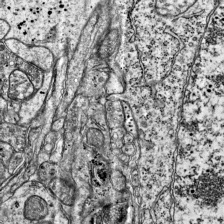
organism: Mouse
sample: Visual Cortex